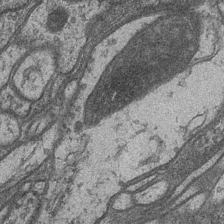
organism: Drosophila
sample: Optic medulla